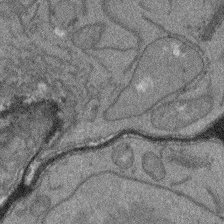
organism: Arabidopsis thaliana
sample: Root tip